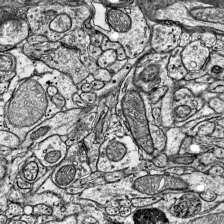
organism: Mouse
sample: Visual Cortex